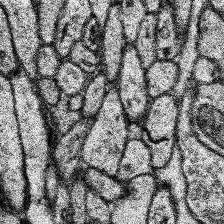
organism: Human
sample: Temporal Lobe